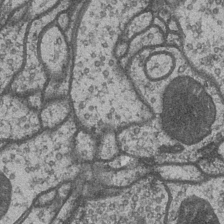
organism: Drosophila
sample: Optic medulla